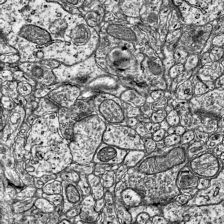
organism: Mouse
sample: Visual Cortex